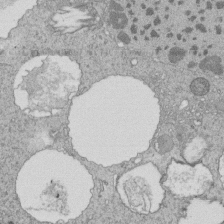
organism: Tetrahymena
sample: Cilia in tetrahymena